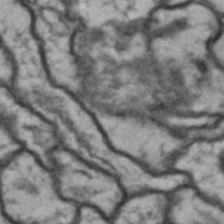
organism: Drosophila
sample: Brain